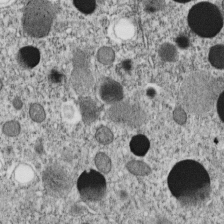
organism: C. elegans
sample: C. elegans embryo early stage